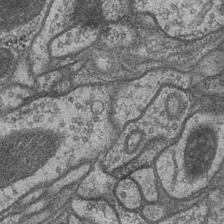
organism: Drosophila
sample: Optic medulla